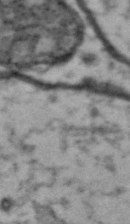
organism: Drosophila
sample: Brain